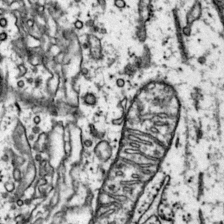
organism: Mouse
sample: Primary visual cortex